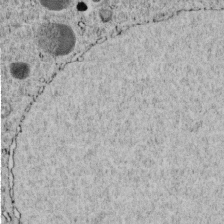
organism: C. elegans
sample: C. elegans embryo early stage